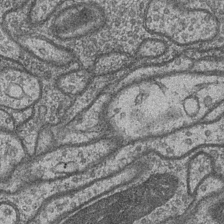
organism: Drosophila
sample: Optic medulla